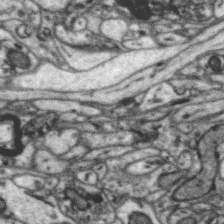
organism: Zebra finch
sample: Brain